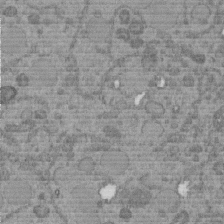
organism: C. elegans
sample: C. elegans embryo early stage